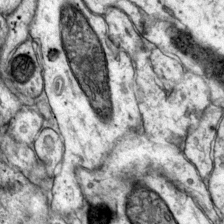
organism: Mouse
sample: Primary visual cortex